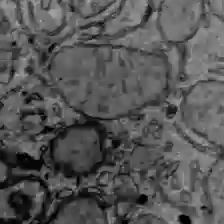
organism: C57BL Mouse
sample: Liver